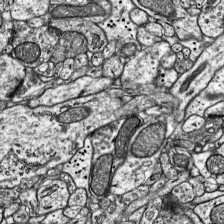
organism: Mouse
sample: Visual Cortex